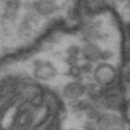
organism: Drosophila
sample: Brain